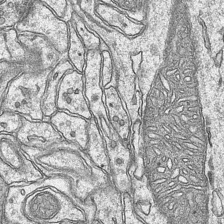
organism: Mouse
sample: CA1 Hippocampus